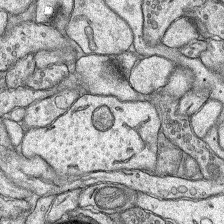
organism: Rat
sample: Hippocampus